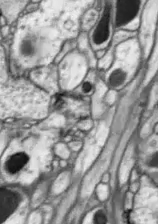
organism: Drosophila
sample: Optic lobe